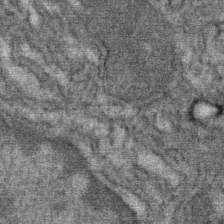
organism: Mouse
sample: Mouse Salivary gland